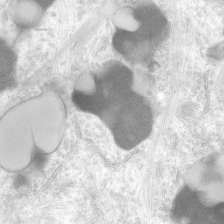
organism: Human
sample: Neocortex